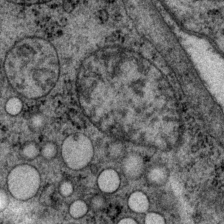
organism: P. pacificus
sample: Pharynx